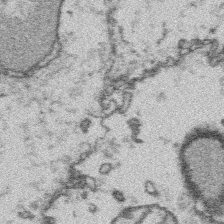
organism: Platynereis dumerilii